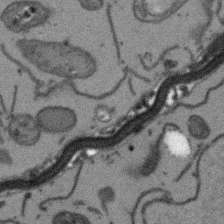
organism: Arabidopsis thaliana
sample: Root tip